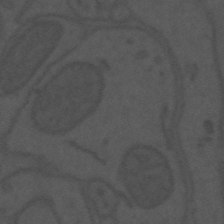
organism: Mouse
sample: Suprachiasmatic nucleus